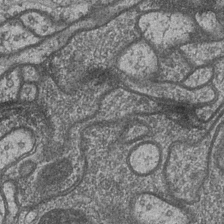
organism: Drosophila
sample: Optic medulla